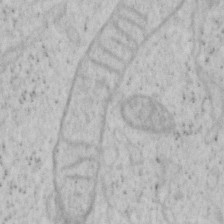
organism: Human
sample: HeLa cells